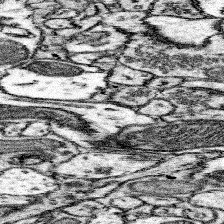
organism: Mouse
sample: Somatosensory cortex neuropil